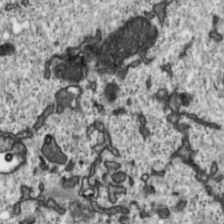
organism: Toxoplasma gondii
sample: Parasites in a vacuole inside a host cell